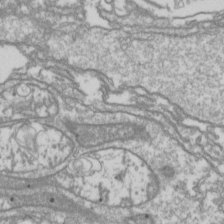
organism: Drosophila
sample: Cell division; meiosis; drosophila spermatocytes